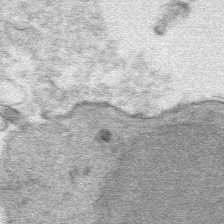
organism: Mouse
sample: Mouse hepatocytes